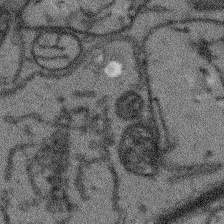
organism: Arabidopsis thaliana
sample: Root tip